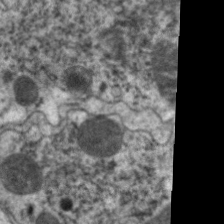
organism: C. elegans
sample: Pharynx